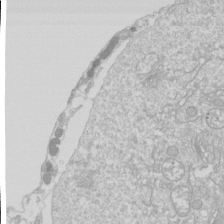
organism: Drosophila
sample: Cell division; meiosis; drosophila spermatocytes